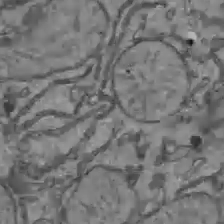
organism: C57BL Mouse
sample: Liver